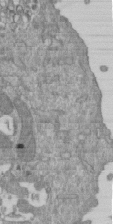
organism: Mouse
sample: ED-1 cell nuclei; centrioles